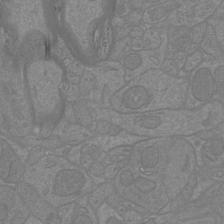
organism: Mouse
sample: Cortical neurons